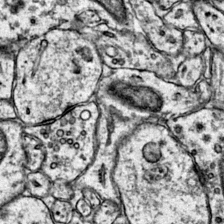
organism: Mouse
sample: Primary visual cortex